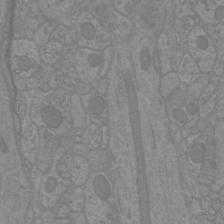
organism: Mouse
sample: Cortical neurons